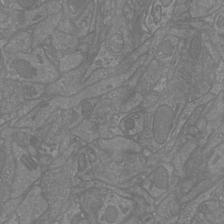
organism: Mouse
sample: Cortical neurons